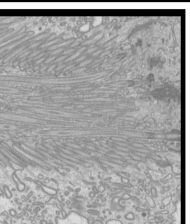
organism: Mouse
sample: Cilia; mouse epididymis